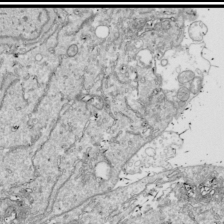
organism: Drosophila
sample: Cell division; meiosis; drosophila spermatocytes